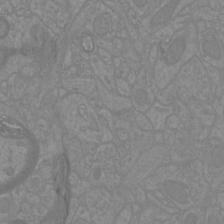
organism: Mouse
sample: Cortical neurons